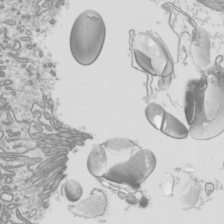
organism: Mouse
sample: Cilia; mouse epididymis